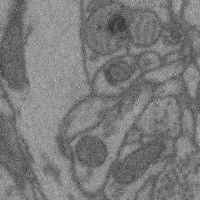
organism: Mouse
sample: Cerebral cortex